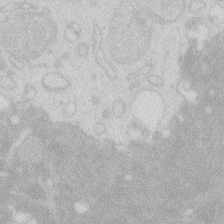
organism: Zebrafish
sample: Macrophage